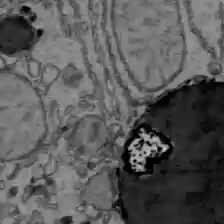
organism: C57BL Mouse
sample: Liver